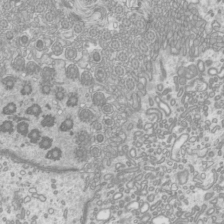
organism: Mouse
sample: Cilia; mouse epididymis